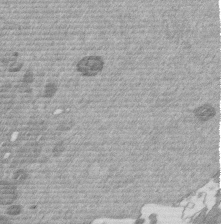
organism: Mouse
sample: Dividing mouse embryo 1 cell stage